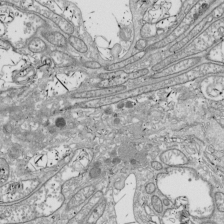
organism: Drosophila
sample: Cell division; meiosis; drosophila spermatocytes